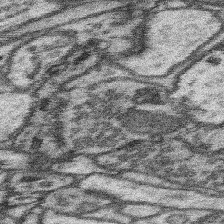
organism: Mouse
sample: Somatosensory cortex neuropil